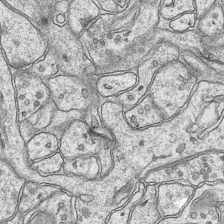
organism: Mouse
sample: CA1 Hippocampus